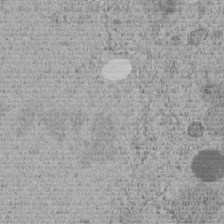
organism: C. elegans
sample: C. elegans embryo early stage